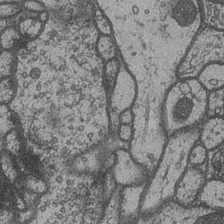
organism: Drosophila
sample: Optic medulla